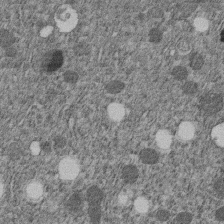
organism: C. elegans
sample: C. elegans embryo early stage